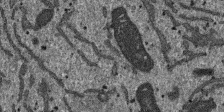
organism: Human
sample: Lung epithelial cells infected with SARS-CoV-2